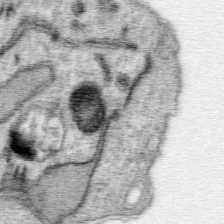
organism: Human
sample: HeLa cells